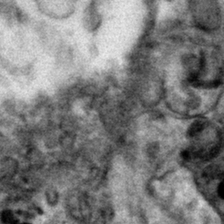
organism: Mouse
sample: Mouse hepatocytes